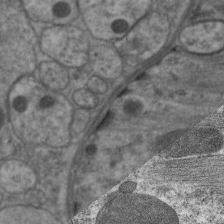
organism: C. elegans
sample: Pharynx